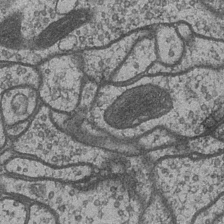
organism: Drosophila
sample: Optic medulla